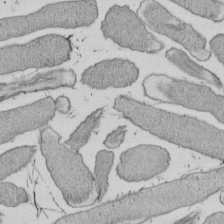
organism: E. coli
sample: Bacterial nucleoid